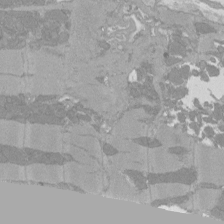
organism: Rat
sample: Left ventricle